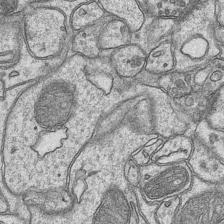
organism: Mouse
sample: CA1 Hippocampus